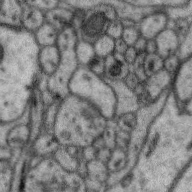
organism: Zebra finch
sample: Brain